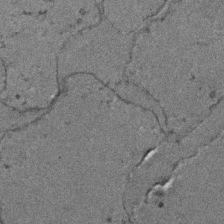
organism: Zebrafish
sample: Zebrafish embryo